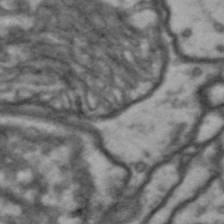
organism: Drosophila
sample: Brain